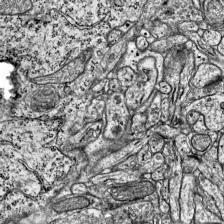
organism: Mouse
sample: Visual Cortex